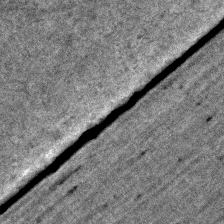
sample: Trachea